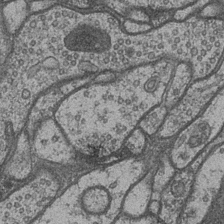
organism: Drosophila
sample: Optic medulla